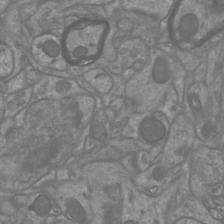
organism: Mouse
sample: Cortical neurons